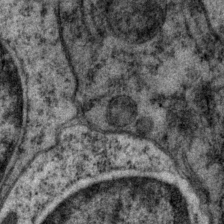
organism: P. pacificus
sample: Pharynx